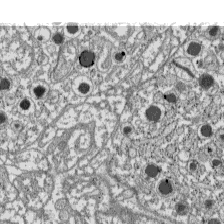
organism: C57BL Mouse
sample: Pancreatic islet